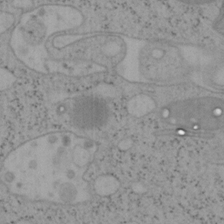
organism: Mouse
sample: OT-I killer T cells with ID8 ovarian cancer cells